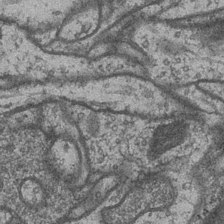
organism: Drosophila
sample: Optic medulla